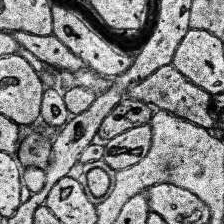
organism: Human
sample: Temporal Lobe